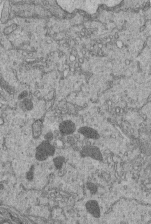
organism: Human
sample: Retinal organoid Rod and Cone cells